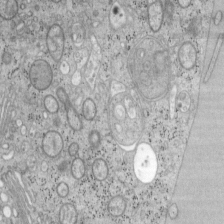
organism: Mouse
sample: OT-I killer T cells with ID8 ovarian cancer cells